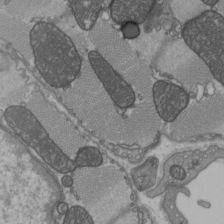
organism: C57BL Mouse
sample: Heart